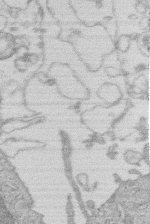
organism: Human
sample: Macrophage cells